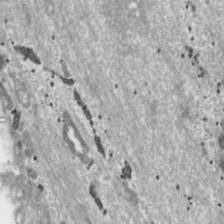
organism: Toxoplasma gondii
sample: Parasites in a vacuole inside a host cell